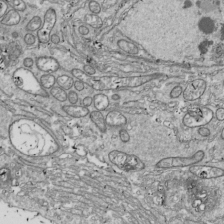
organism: Drosophila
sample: Cell division; meiosis; drosophila spermatocytes